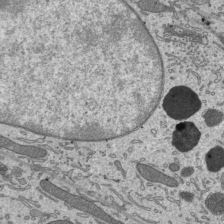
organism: Mouse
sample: Mouse epididymis efferent ductule cilia